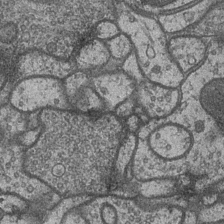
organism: Drosophila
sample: Optic medulla